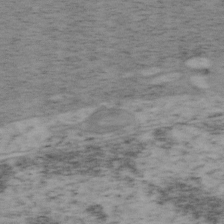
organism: Mouse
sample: OT-I killer T cells with ID8 ovarian cancer cells